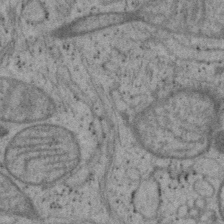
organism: Human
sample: HeLa cells